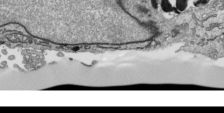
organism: Human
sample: Mitochondria in HCT116 cells